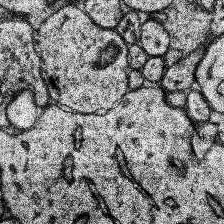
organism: Human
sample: Temporal Lobe